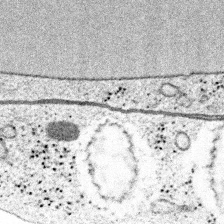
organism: Human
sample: HeLa cells